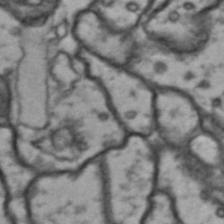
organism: Drosophila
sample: Brain